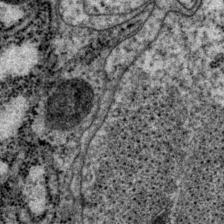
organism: P. pacificus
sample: Pharynx